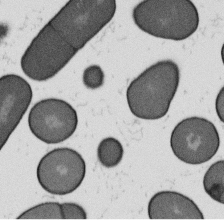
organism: B. subtilis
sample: Bacterial spore